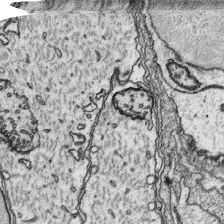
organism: Platynereis dumerilii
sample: Parapodia